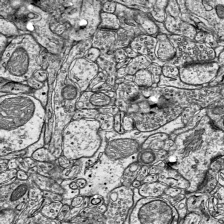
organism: Mouse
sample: Visual Cortex